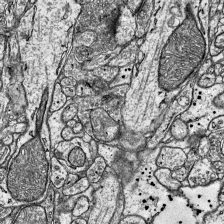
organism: Mouse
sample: Visual Cortex